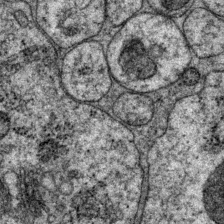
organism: P. pacificus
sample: Pharynx